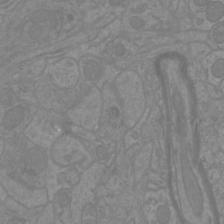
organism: Mouse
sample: Cortical neurons